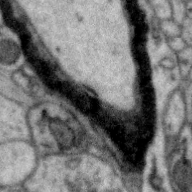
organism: Zebra finch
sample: Brain